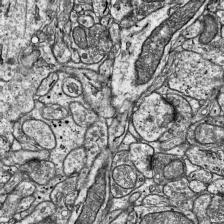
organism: Mouse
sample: Visual Cortex